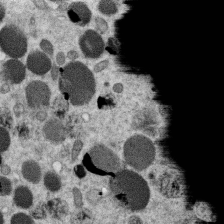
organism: C. elegans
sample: C. elegans oocyte; sperm cells